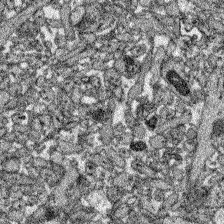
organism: Zebrafish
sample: Larval olfactory bulb